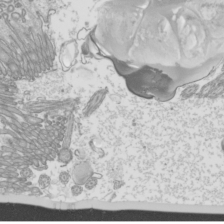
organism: Mouse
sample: Cilia; mouse epididymis